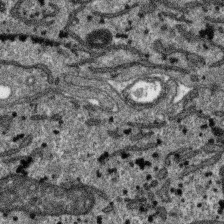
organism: Human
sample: Lung epithelial cells infected with SARS-CoV-2